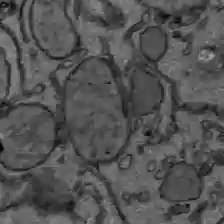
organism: C57BL Mouse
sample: Liver